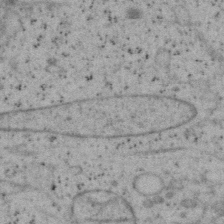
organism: Human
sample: HeLa cells